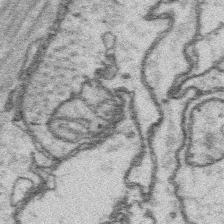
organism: Platynereis dumerilii